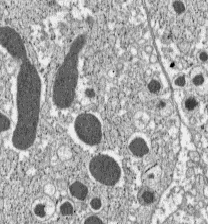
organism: C57BL Mouse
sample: Pancreatic islet